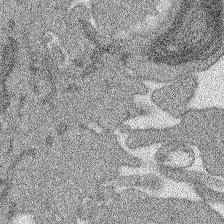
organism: Human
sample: HeLa cells